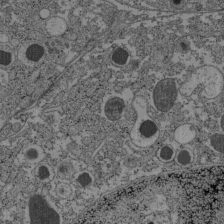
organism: C57BL Mouse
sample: Pancreatic islet